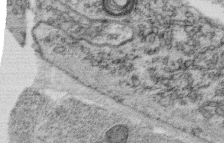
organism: C. elegans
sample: C. elegans oocyte; sperm cells